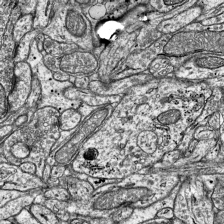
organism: Mouse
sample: Visual Cortex